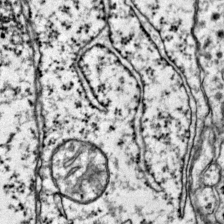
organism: Mouse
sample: Primary visual cortex